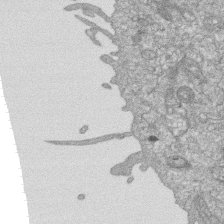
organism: Human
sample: HeLa cell HIV synapse